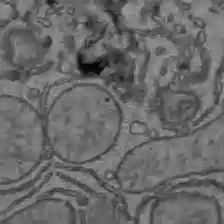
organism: C57BL Mouse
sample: Liver